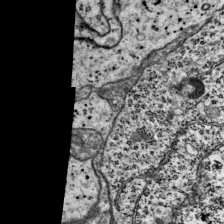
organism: Mouse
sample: Visual Cortex